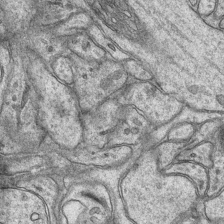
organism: Mouse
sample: CA1 Hippocampus